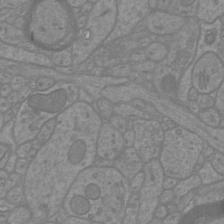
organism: Mouse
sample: Cortical neurons